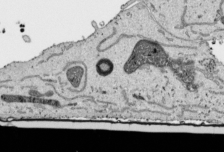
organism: Human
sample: Mitochondria in HCT116 cells